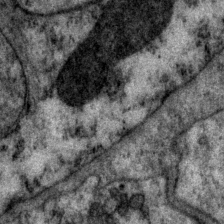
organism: P. pacificus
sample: Pharynx